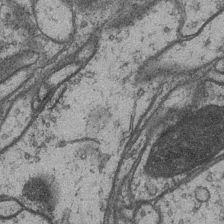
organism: Drosophila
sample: Optic medulla